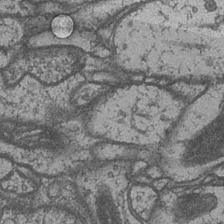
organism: Drosophila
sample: Optic medulla